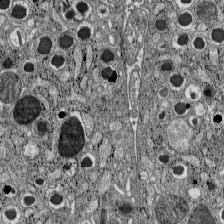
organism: C57BL Mouse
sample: Pancreatic islet